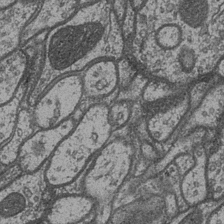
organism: Drosophila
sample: Optic medulla